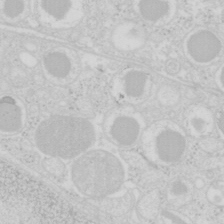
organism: Mouse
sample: Pancreas